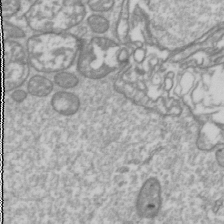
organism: Drosophila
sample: Cell division; meiosis; drosophila spermatocytes